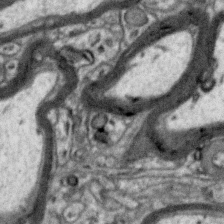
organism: Zebra finch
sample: Brain